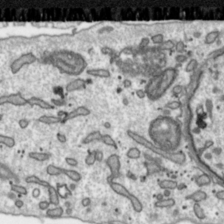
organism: Toxoplasma gondii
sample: Parasites in a vacuole inside a host cell